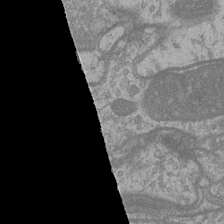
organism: Drosophila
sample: Optic medulla